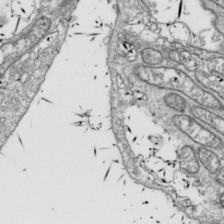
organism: Drosophila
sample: Cell division; meiosis; drosophila spermatocytes